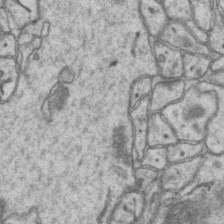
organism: Mouse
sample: CA1 Hippocampus